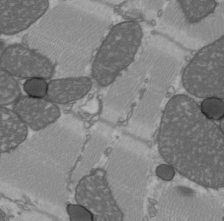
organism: C57BL Mouse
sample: Heart